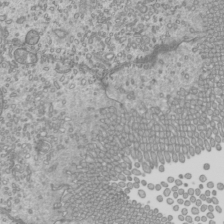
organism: Mouse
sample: Cilia; mouse epididymis